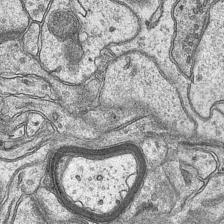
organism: Mouse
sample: CA1 Hippocampus